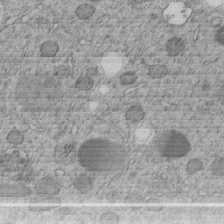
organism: C. elegans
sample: C. elegans embryo early stage